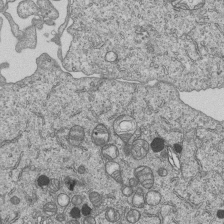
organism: Human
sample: MDA-MB-231 cells